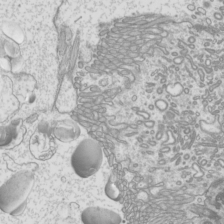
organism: Mouse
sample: Cilia; mouse epididymis